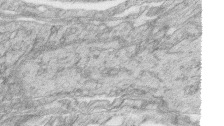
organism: Zebrafish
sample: synaptic ribbons in rod cells and cone cells